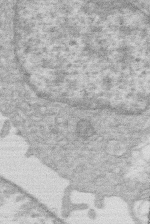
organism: Human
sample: Macrophage cells